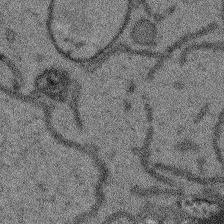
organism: Arabidopsis thaliana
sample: Root tip